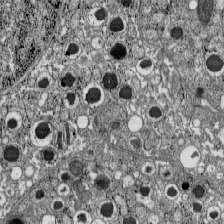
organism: C57BL Mouse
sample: Pancreatic islet